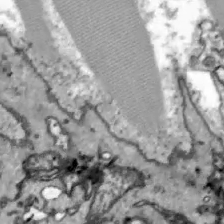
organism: Zebrafish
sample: Actinotrichia fibers